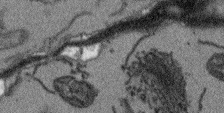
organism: Arabidopsis thaliana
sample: Root tip